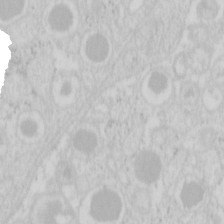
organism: Mouse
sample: Pancreas